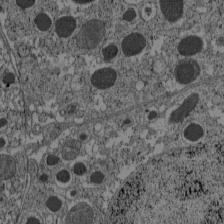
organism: C57BL Mouse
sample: Pancreatic islet